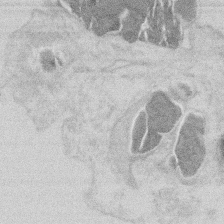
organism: Mouse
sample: T cell stromal cell synapse